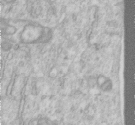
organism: Human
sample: Centriole in RPE cells